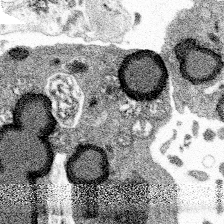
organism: Spongilla lacustris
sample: Multiple